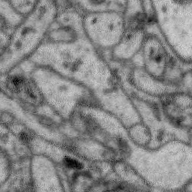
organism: Zebra finch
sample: Brain